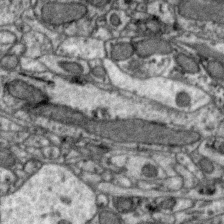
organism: Zebra finch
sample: Brain